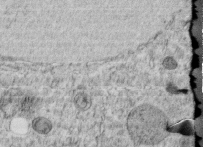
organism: C. elegans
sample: C. elegans embryo early stage